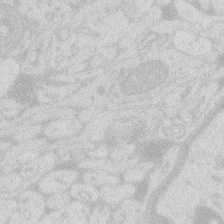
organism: Zebrafish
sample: Macrophage